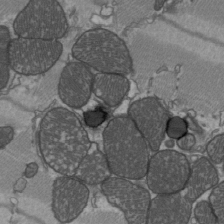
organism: C57BL Mouse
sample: Heart